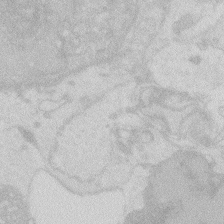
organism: Zebrafish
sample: Macrophage